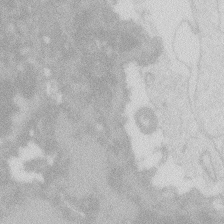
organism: Zebrafish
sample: Macrophage